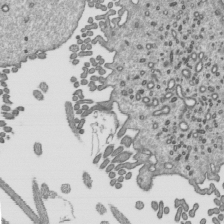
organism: Mouse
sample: Mouse epididymis efferent ductule cilia